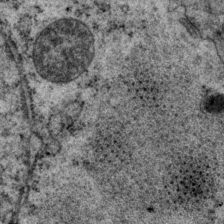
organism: P. pacificus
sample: Pharynx